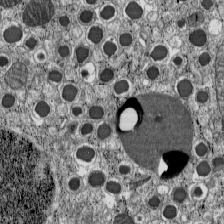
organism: C57BL Mouse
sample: Pancreatic islet